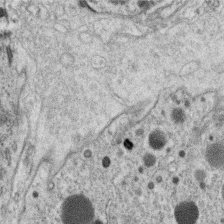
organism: C. elegans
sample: C. elegans oocyte; sperm cells